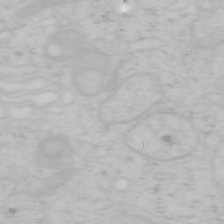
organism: Mouse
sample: OT-I killer T cells with ID8 ovarian cancer cells